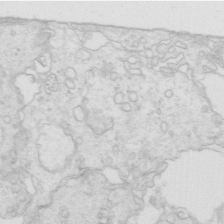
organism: Mouse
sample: Multiciliated cells